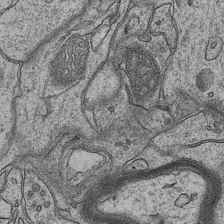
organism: Mouse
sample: CA1 Hippocampus